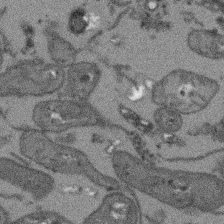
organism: Arabidopsis thaliana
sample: Root tip